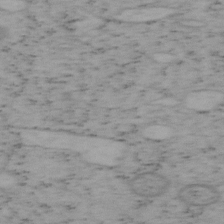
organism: Mouse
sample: OT-I killer T cells with ID8 ovarian cancer cells